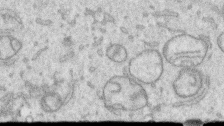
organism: Human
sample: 1205lu cells